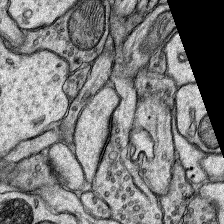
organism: Rat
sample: Hippocampus